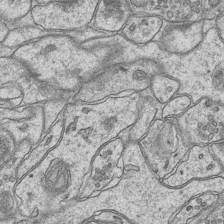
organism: Mouse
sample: CA1 Hippocampus